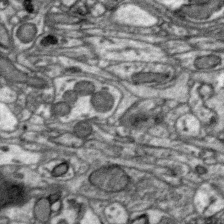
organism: Zebra finch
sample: Brain